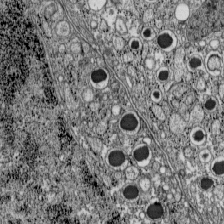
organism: C57BL Mouse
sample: Pancreatic islet